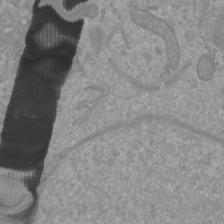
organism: Mouse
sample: Cortical neurons